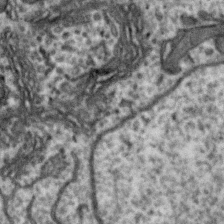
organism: Zebra finch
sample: Brain